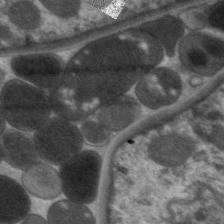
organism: C. elegans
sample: Pharynx